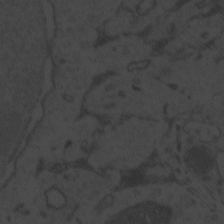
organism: Zebrafish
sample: Macrophage infected with Toxoplasma gondii